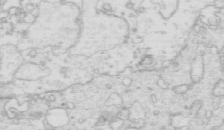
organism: Mouse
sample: Multiciliated cells